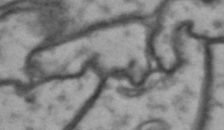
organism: Drosophila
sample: Brain